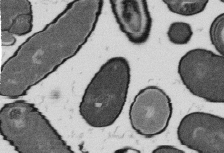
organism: B. subtilis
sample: Bacterial spore